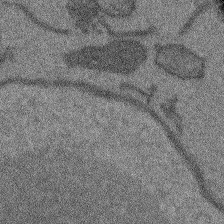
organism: Arabidopsis thaliana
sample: Root tip